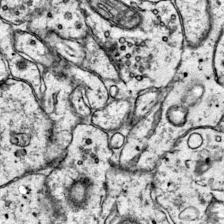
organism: Mouse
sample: Primary visual cortex